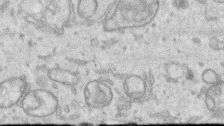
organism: Human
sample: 1205lu cells